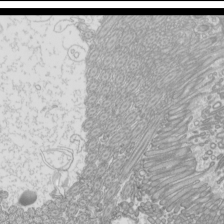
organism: Mouse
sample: Cilia; mouse epididymis